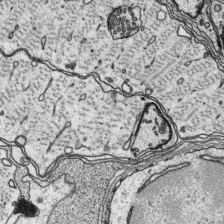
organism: Platynereis dumerilii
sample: Parapodia